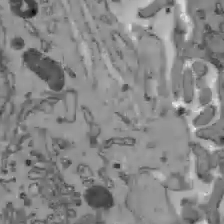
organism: C57BL Mouse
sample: Liver